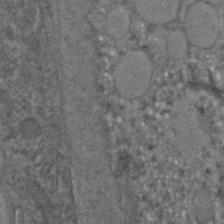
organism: C. elegans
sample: C. elegans embryo